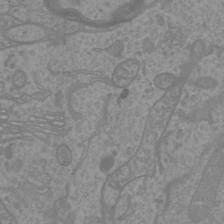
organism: Mouse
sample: Cortical neurons